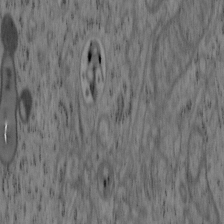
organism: Human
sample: HeLa cells